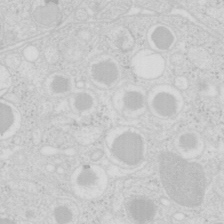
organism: Mouse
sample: Pancreas